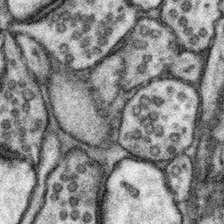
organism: Mouse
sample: Somatosensory cortex neuropil